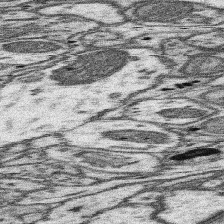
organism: Mouse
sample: Somatosensory cortex neuropil